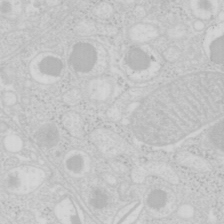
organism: Mouse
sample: Pancreas